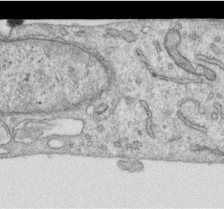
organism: Human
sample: Centriole in RPE cells